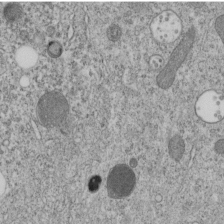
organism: C. elegans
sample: C. elegans embryo early stage